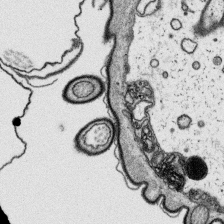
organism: Platynereis dumerilii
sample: Parapodia